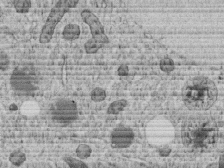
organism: C. elegans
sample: C. elegans embryo early stage